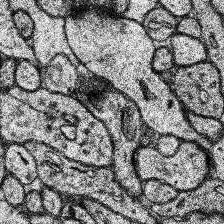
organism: Human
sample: Temporal Lobe